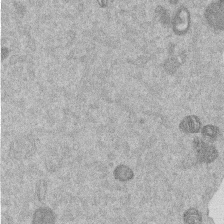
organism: Mouse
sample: Dividing mouse embryo 1 cell stage